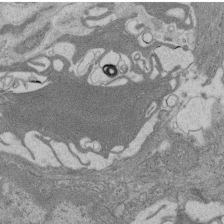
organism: Rat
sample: Salivary granule